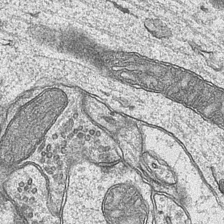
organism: Mouse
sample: CA1 Hippocampus